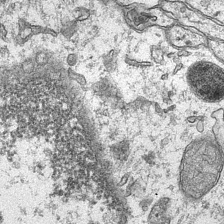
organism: Mouse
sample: CA1 Hippocampus